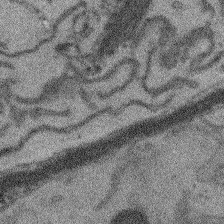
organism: Arabidopsis thaliana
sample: Root tip